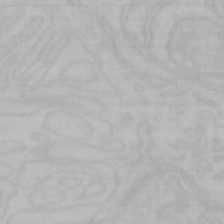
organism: Mouse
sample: Choroid plexus